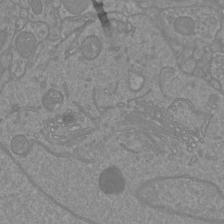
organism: Mouse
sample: Cortical neurons